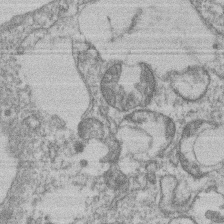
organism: Mouse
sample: T cell stromal cell synapse